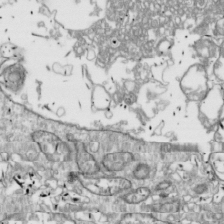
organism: Drosophila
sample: Cell division; meiosis; drosophila spermatocytes